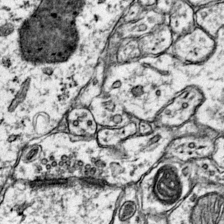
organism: Mouse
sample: Primary visual cortex